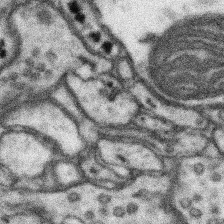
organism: Mouse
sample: Somatosensory cortex neuropil